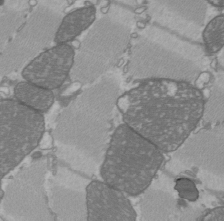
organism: C57BL Mouse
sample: Heart